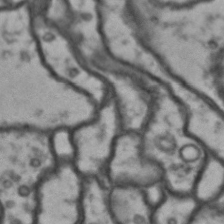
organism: Drosophila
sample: Brain